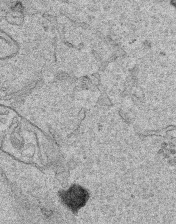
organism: Human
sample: Mitochondria in HCT116 cells